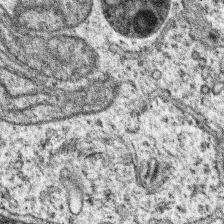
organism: Human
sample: HeLa cells